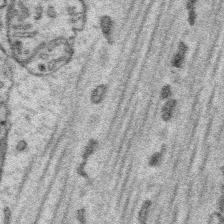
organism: Platynereis dumerilii